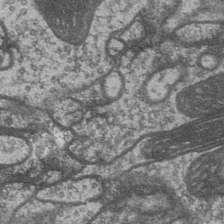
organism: Drosophila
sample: Optic medulla